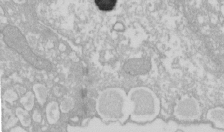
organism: Xenopus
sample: Cilia; centrioles in frog embryo cells